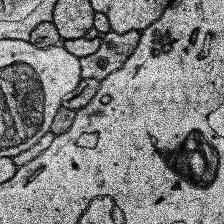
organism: Human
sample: Temporal Lobe